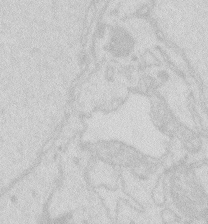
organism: Zebrafish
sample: Macrophage